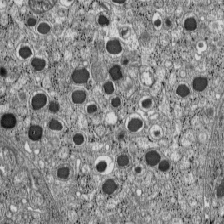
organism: C57BL Mouse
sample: Pancreatic islet